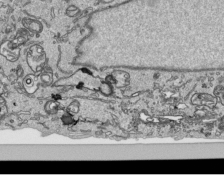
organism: Human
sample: Mitochondria in HCT116 cells